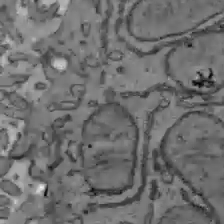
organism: C57BL Mouse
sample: Liver